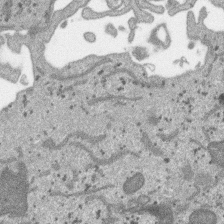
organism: Human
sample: Lung epithelial cells infected with SARS-CoV-2